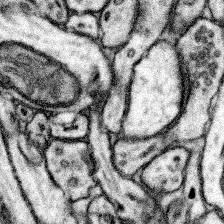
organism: Mouse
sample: Somatosensory cortex neuropil